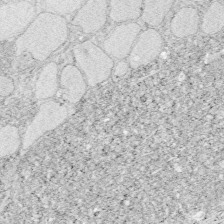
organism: Zebrafish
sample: Whole-Brain